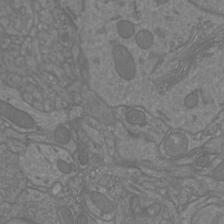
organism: Mouse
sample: Cortical neurons